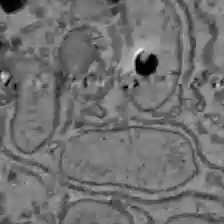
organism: C57BL Mouse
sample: Liver